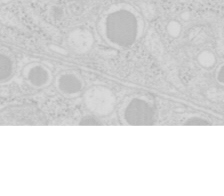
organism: Mouse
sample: Pancreas